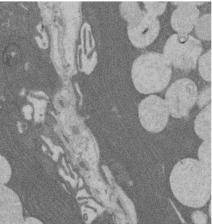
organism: Rat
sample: Salivary granule